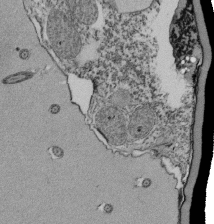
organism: Tetrahymena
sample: Cilia in tetrahymena